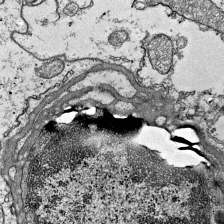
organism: Mouse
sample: Visual Cortex